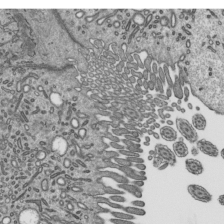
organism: Mouse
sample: Mouse epididymis efferent ductule cilia